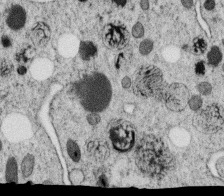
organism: C. elegans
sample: C. elegans oocyte; sperm cells